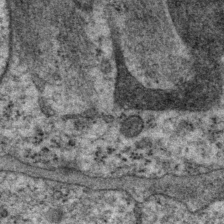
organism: P. pacificus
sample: Pharynx